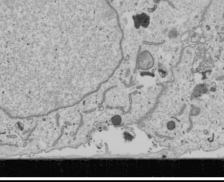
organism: Human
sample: Mitochondria in U2OS cells